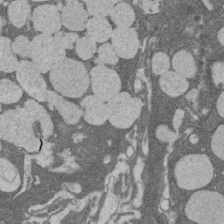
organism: Rat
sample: Salivary granule